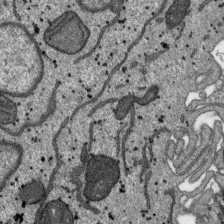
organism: Human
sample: Lung epithelial cells, uninfected (mock) control